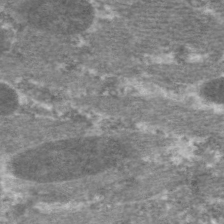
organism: C. elegans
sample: Pharynx